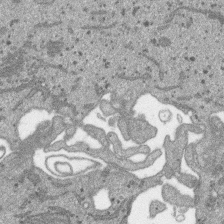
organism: Human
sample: Lung epithelial cells infected with SARS-CoV-2